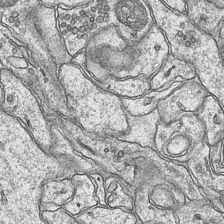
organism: Mouse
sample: CA1 Hippocampus